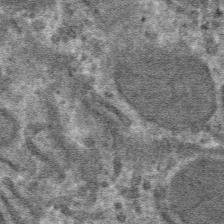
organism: Mouse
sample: Mouse hepatocytes